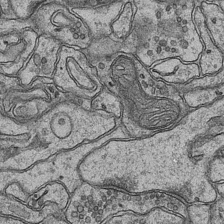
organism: Mouse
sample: CA1 Hippocampus